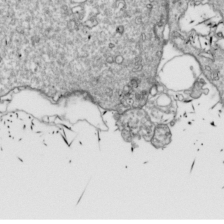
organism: Drosophila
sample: Cell division; meiosis; drosophila spermatocytes